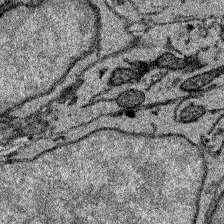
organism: Zebrafish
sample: Larval olfactory bulb